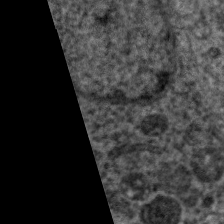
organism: C. elegans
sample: Pharynx